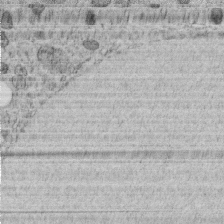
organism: C. elegans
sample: C. elegans embryo early stage